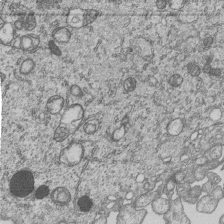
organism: Human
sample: MDA-MB-231 cells